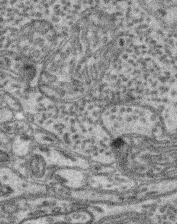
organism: Mouse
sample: Retina